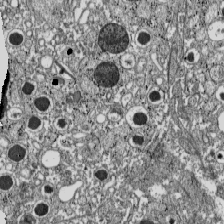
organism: C57BL Mouse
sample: Pancreatic islet